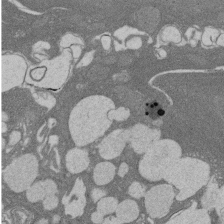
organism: Rat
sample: Salivary granule